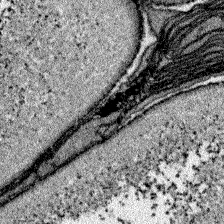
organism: Zebrafish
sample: Larval olfactory bulb